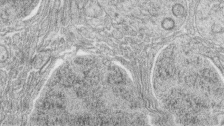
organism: Zebrafish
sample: synaptic ribbons in rod cells and cone cells